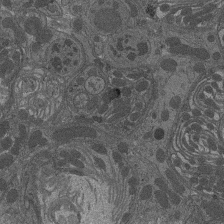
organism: Drosophila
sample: Antenna